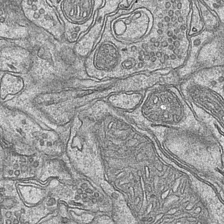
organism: Mouse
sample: CA1 Hippocampus